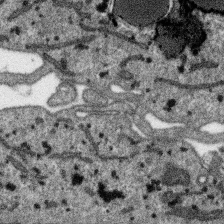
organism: Human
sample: Lung epithelial cells infected with SARS-CoV-2